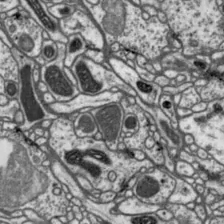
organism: Drosophila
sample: Protocerebral bridge